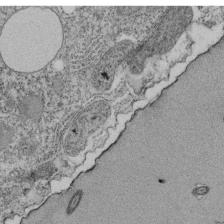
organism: Tetrahymena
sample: Cilia in tetrahymena